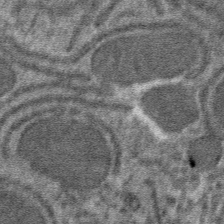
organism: Mouse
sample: Mouse hepatocytes